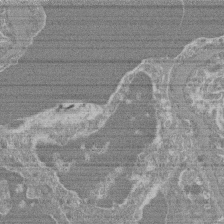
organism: Mouse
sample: Glomerulus